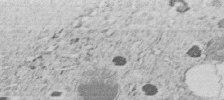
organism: C. elegans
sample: C. elegans embryo early stage